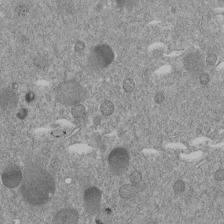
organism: C. elegans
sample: C. elegans embryo early stage